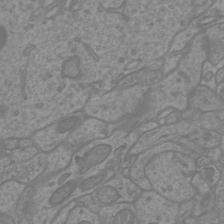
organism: Mouse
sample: Cortical neurons